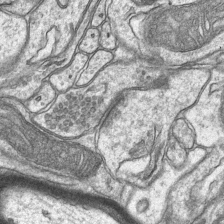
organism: Mouse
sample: CA1 Hippocampus